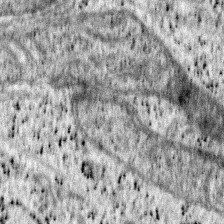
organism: Human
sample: HeLa cells